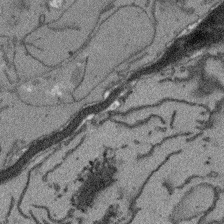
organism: Arabidopsis thaliana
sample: Root tip